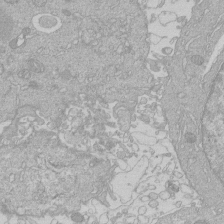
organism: Human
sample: Macrophage cells